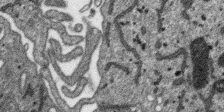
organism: Human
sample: Lung epithelial cells infected with SARS-CoV-2